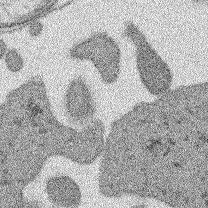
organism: Human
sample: HeLa cells